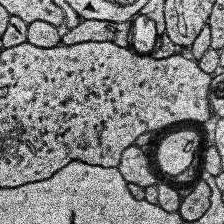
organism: Human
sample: Temporal Lobe